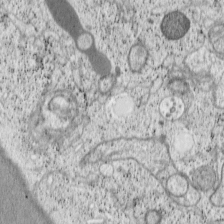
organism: African green monkey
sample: COS-7 cells